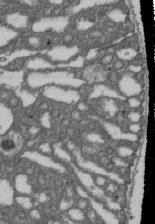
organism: Drosophila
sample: Nephrocyte